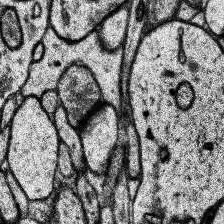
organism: Human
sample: Temporal Lobe